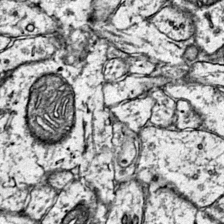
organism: Mouse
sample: Primary visual cortex